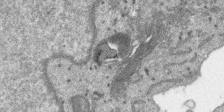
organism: Human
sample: Lung epithelial cells infected with SARS-CoV-2